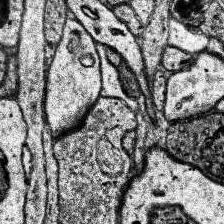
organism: Human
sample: Temporal Lobe